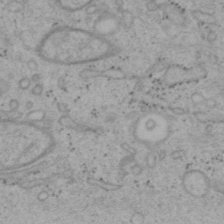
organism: Human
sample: HeLa cells